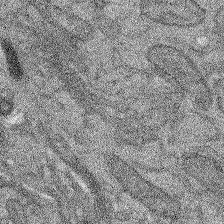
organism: Human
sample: HeLa cells